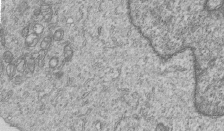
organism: Human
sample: MDA-MB-231 cells